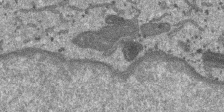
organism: Human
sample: Lung epithelial cells infected with SARS-CoV-2